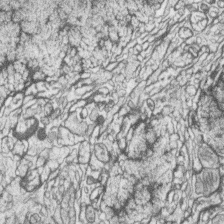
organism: Zebrafish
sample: synaptic ribbons in rod cells and cone cells